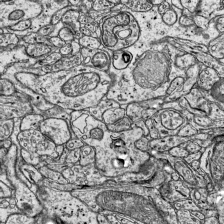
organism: Mouse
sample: Visual Cortex